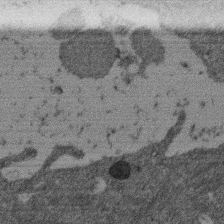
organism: Mouse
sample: Dividing mouse embryo 1 cell stage